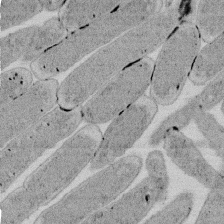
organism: E. coli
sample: Bacterial nucleoid